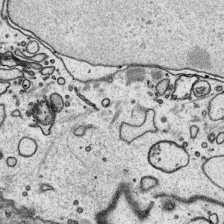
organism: Platynereis dumerilii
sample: Parapodia